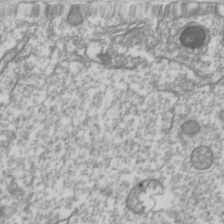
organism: Drosophila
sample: Cell division; meiosis; drosophila spermatocytes